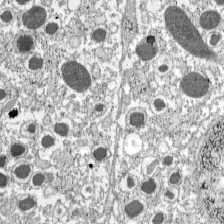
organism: C57BL Mouse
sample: Pancreatic islet